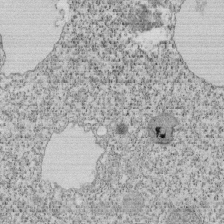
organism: Tetrahymena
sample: Cilia in tetrahymena